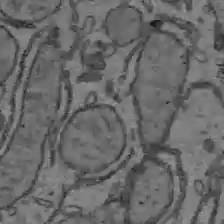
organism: C57BL Mouse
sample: Liver